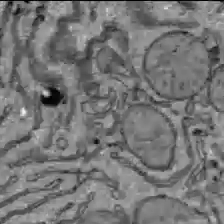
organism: C57BL Mouse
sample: Liver